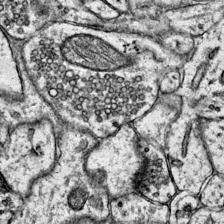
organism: Mouse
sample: Primary visual cortex